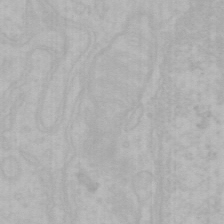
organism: Mouse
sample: Choroid plexus